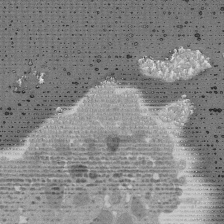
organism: Mouse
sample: Activated Pmel transgenic CD8+ T Cells